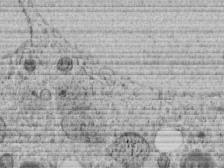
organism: C. elegans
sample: C. elegans embryo early stage